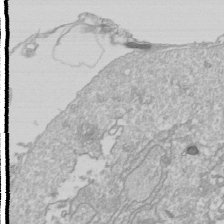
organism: Drosophila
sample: Cell division; meiosis; drosophila spermatocytes